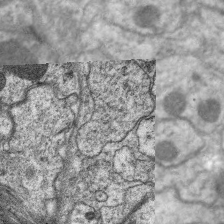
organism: C. elegans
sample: Pharynx